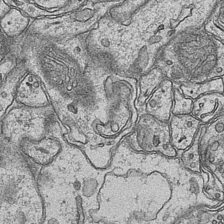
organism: Mouse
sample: CA1 Hippocampus